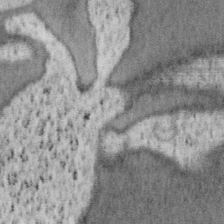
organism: Mouse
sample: OT-I killer T cells with ID8 ovarian cancer cells